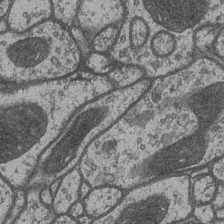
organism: Drosophila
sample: Optic medulla